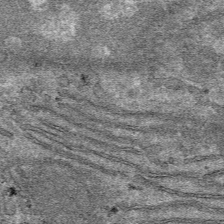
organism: Mouse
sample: Mouse hepatocytes